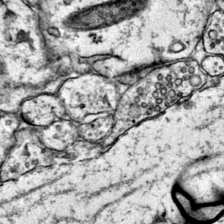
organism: Mouse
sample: Primary visual cortex